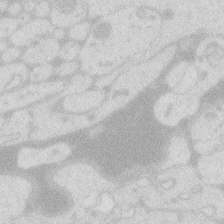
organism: Zebrafish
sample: Macrophage